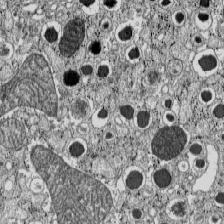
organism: C57BL Mouse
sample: Pancreatic islet